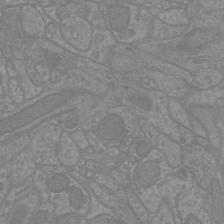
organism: Mouse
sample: Cortical neurons